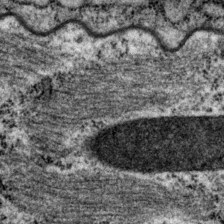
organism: P. pacificus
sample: Pharynx